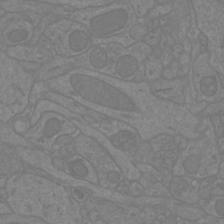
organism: Mouse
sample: Cortical neurons